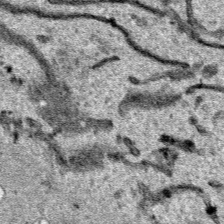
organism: Human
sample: Mitochondria in HCT116 cells